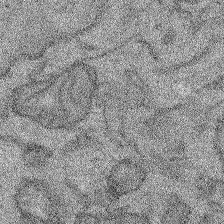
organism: Human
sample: HeLa cells